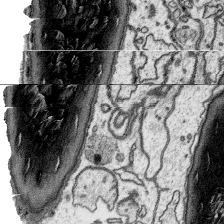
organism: Platynereis dumerilii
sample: Parapodia